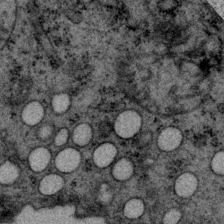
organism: P. pacificus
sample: Pharynx